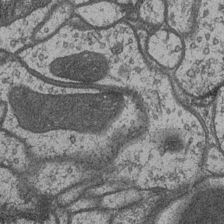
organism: Drosophila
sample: Optic medulla